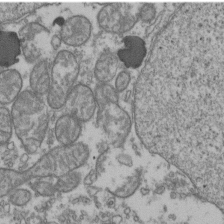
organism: Human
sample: Activated Jurkat CD4+ T cells